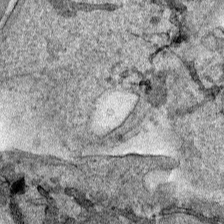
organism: Human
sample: Mitochondria in HCT116 cells